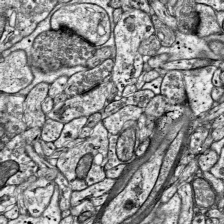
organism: Mouse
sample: Visual Cortex